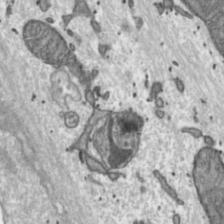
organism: Toxoplasma gondii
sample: Parasites in a vacuole inside a host cell